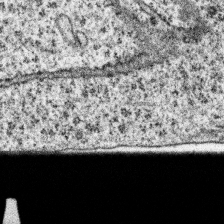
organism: Human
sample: HeLa cells